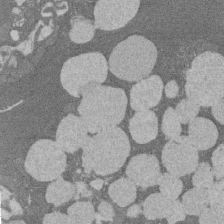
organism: Rat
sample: Salivary granule